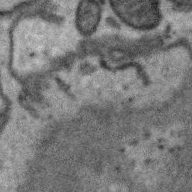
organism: Zebra finch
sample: Brain